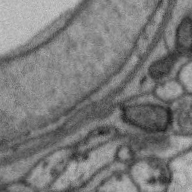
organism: Zebra finch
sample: Brain